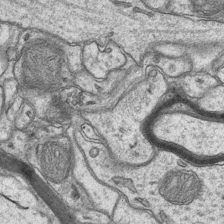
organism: Mouse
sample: CA1 Hippocampus